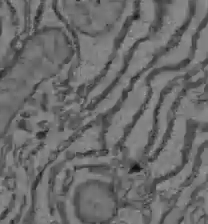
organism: C57BL Mouse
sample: Liver